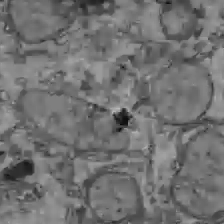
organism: C57BL Mouse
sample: Liver